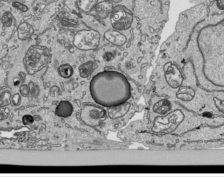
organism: Human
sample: Mitochondria in HCT116 cells